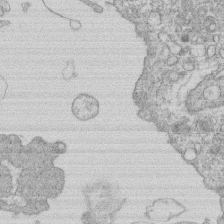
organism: Human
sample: Macrophage cells